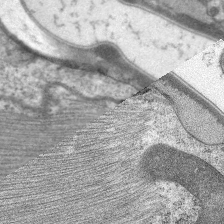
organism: C. elegans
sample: Pharynx